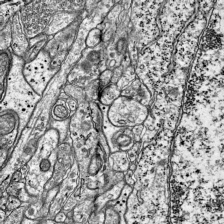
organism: Mouse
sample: Visual Cortex